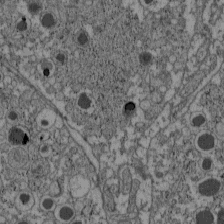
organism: C57BL Mouse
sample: Pancreatic islet